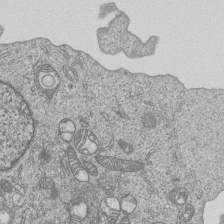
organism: Human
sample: MDA-MB-231 cells